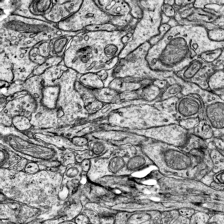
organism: Mouse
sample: Visual Cortex